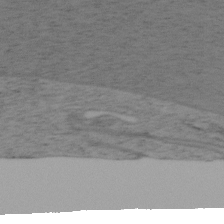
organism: Mouse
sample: OT-I killer T cells with ID8 ovarian cancer cells